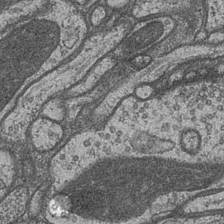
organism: Drosophila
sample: Optic medulla